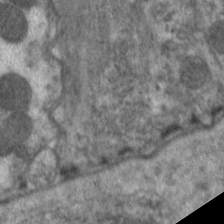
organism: C. elegans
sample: Pharynx